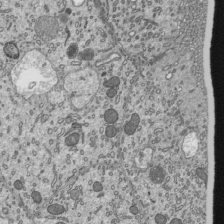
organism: Mouse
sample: Mouse epididymis efferent ductule cilia